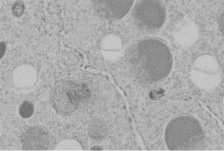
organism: C. elegans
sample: C. elegans embryo early stage